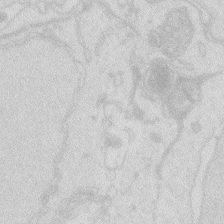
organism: Zebrafish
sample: Macrophage